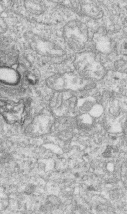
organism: Human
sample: HeLa cell HIV synapse